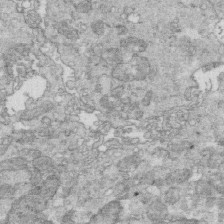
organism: Mouse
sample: Multiciliated cells